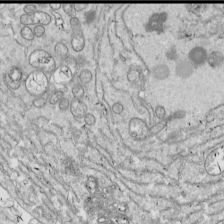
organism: Drosophila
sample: Cell division; meiosis; drosophila spermatocytes